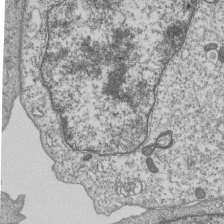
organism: Human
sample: MDA-MB-231 cells